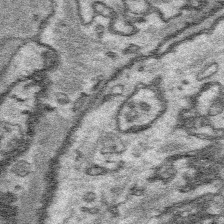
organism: Platynereis dumerilii